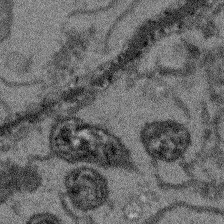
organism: Arabidopsis thaliana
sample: Root tip